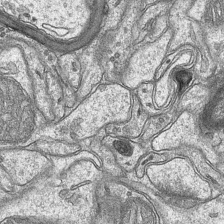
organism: Mouse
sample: CA1 Hippocampus